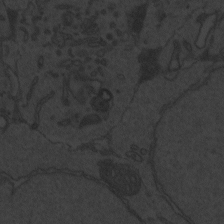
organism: Zebrafish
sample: Macrophage infected with Toxoplasma gondii